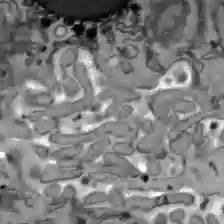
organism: C57BL Mouse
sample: Liver